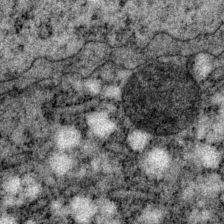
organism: P. pacificus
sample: Pharynx